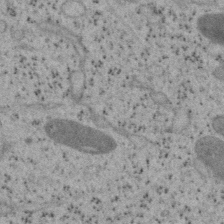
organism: Human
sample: HeLa cells